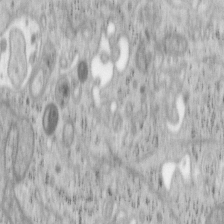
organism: Human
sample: HeLa cells